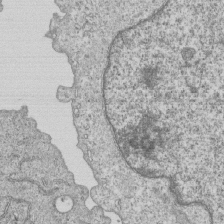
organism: Human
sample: MDA-MB-231 cells